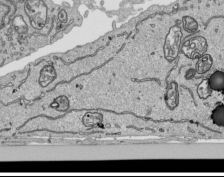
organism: Human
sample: Mitochondria in HCT116 cells